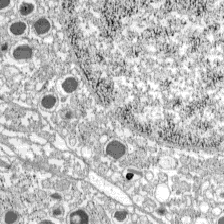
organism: C57BL Mouse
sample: Pancreatic islet